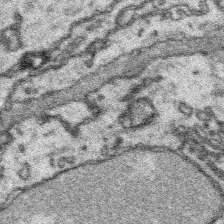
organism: Platynereis dumerilii